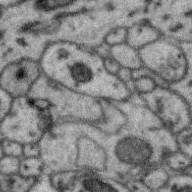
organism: Zebra finch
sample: Brain